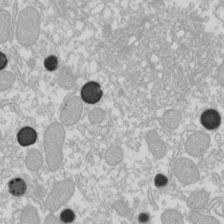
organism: Xenopus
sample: Cilia; centrioles in frog embryo cells